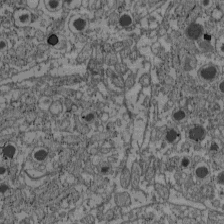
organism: C57BL Mouse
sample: Pancreatic islet